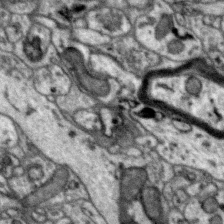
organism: Zebra finch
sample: Brain